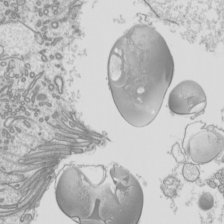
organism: Mouse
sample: Cilia; mouse epididymis